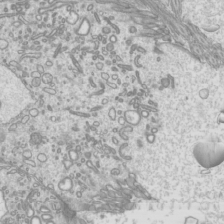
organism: Mouse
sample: Cilia; mouse epididymis